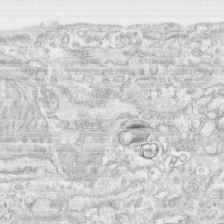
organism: Human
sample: CRL-1474